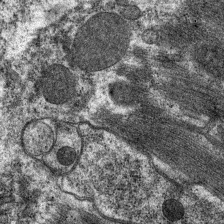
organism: C. elegans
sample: Pharynx